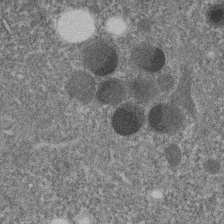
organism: C. elegans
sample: C. elegans embryo early stage